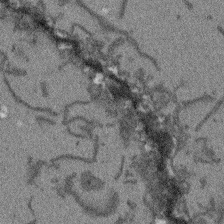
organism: Arabidopsis thaliana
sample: Root tip